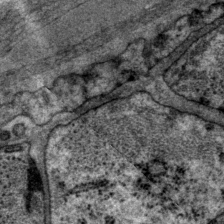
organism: P. pacificus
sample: Pharynx